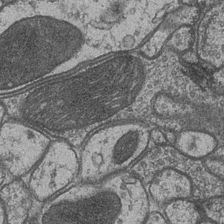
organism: Drosophila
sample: Optic medulla